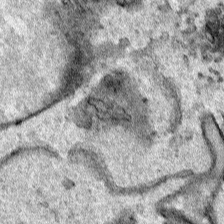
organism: Human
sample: Mitochondria in HCT116 cells